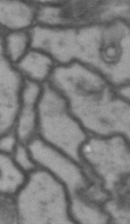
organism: Drosophila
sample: Brain